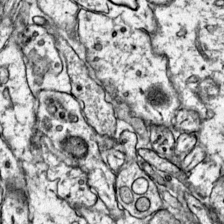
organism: Mouse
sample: Primary visual cortex